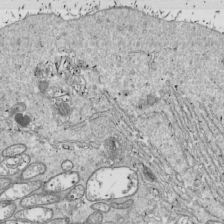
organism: Drosophila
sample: Cell division; meiosis; drosophila spermatocytes